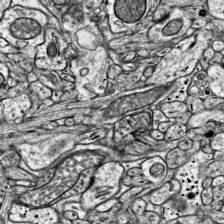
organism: Mouse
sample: Visual Cortex